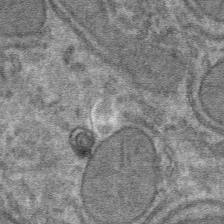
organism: Mouse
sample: Mouse hepatocytes